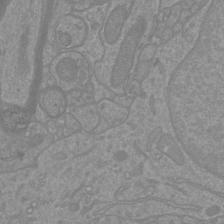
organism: Mouse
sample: Cortical neurons